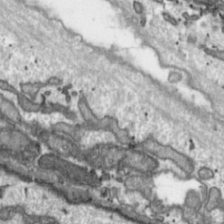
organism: Toxoplasma gondii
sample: Parasites in a vacuole inside a host cell